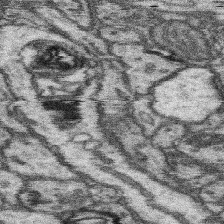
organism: Mouse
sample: Somatosensory cortex neuropil